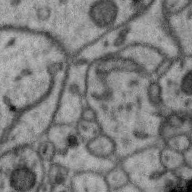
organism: Zebra finch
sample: Brain